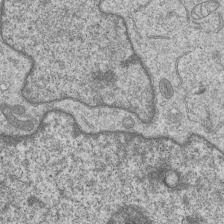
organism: Human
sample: MDA-MB-231 cells